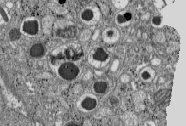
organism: C57BL Mouse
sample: Pancreatic islet